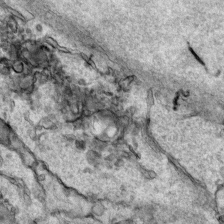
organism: Human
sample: Mitochondria in HCT116 cells